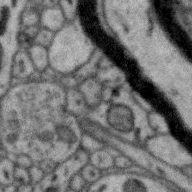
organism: Zebra finch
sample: Brain